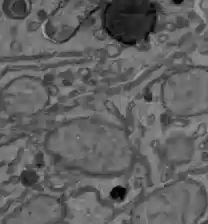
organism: C57BL Mouse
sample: Liver